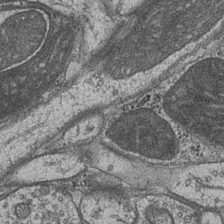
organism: Drosophila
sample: Optic medulla